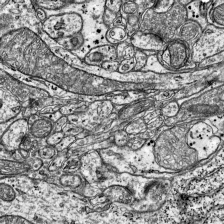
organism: Mouse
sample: Visual Cortex